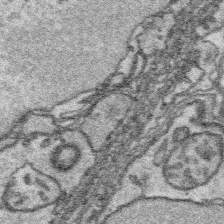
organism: Platynereis dumerilii